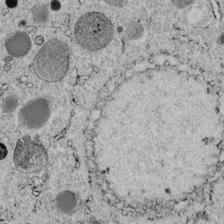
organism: C. elegans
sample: C. elegans embryo early stage